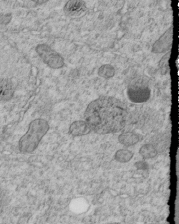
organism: C. elegans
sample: C. elegans embryo early stage